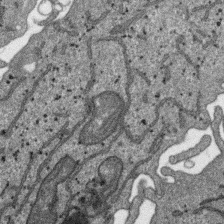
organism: Human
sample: Lung epithelial cells infected with SARS-CoV-2